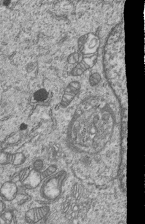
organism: Human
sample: MDA-MB-231 cells